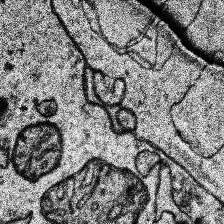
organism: Human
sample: Temporal Lobe